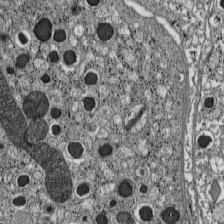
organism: C57BL Mouse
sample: Pancreatic islet